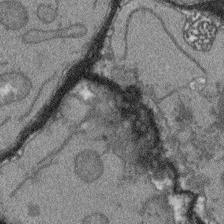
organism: Arabidopsis thaliana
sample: Root tip